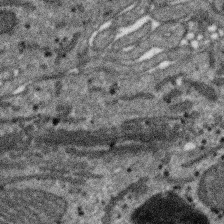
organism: Human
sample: Lung epithelial cells infected with SARS-CoV-2